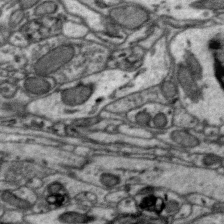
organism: Zebra finch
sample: Brain